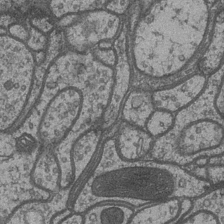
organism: Drosophila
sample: Optic medulla